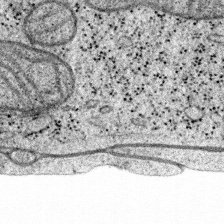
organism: Human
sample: HeLa cells